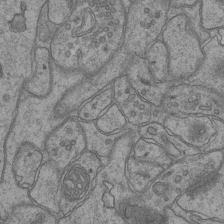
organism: Mouse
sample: CA1 Hippocampus